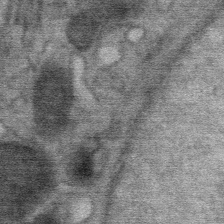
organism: Mouse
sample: Mouse Salivary gland